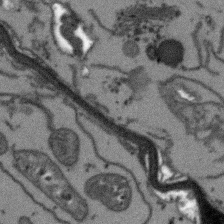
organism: Arabidopsis thaliana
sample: Root tip